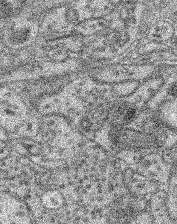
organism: Mouse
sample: Retina